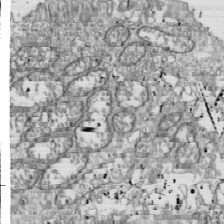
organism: Drosophila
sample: Cell division; meiosis; drosophila spermatocytes